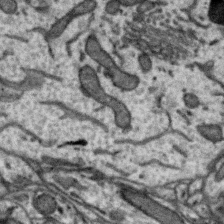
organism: Zebra finch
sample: Brain